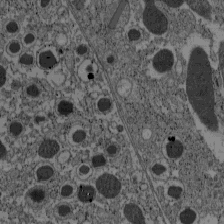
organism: C57BL Mouse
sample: Pancreatic islet